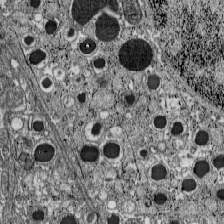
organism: C57BL Mouse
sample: Pancreatic islet